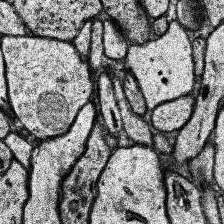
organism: Human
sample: Temporal Lobe